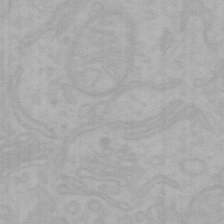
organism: Mouse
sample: Choroid plexus